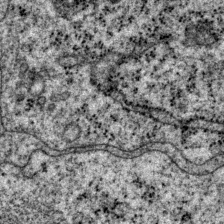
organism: P. pacificus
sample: Pharynx